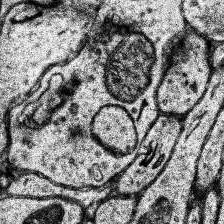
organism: Human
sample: Temporal Lobe